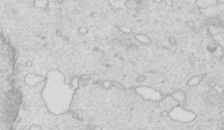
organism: Mouse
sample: Multiciliated cells